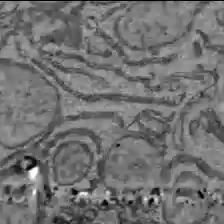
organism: C57BL Mouse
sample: Liver